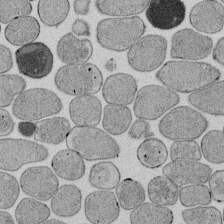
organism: E. coli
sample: Bacterial nucleoid